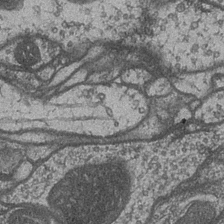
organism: Drosophila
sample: Optic medulla